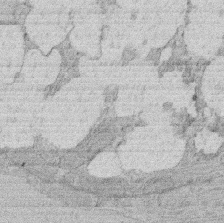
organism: Rat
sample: Salivary granule